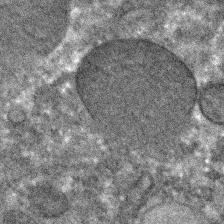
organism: C. elegans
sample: C. elegans embryo